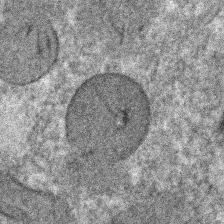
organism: C. elegans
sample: C. elegans embryo